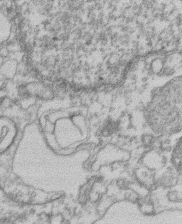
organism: Mouse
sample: T cell stromal cell synapse